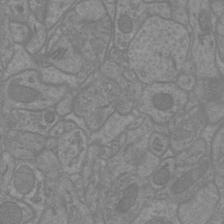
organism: Mouse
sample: Cortical neurons